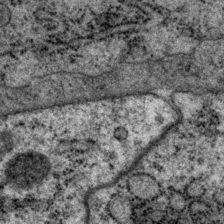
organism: P. pacificus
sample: Pharynx